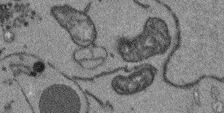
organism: Arabidopsis thaliana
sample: Root tip